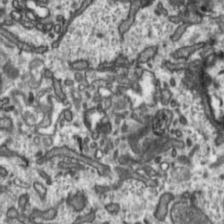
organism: Toxoplasma gondii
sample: Parasites in a vacuole inside a host cell